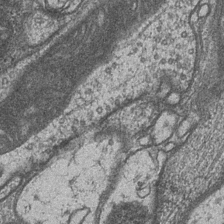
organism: Drosophila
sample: Optic medulla